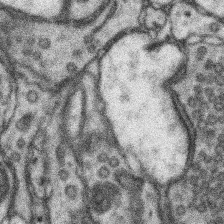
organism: Mouse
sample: Somatosensory cortex neuropil